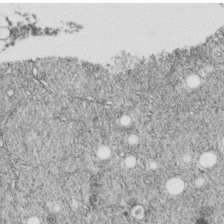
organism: C. elegans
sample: C. elegans embryo early stage